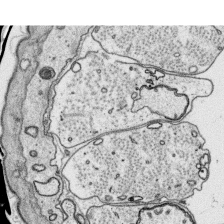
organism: Platynereis dumerilii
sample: Parapodia